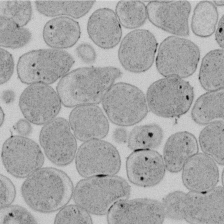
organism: E. coli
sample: Bacterial nucleoid